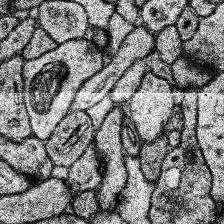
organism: Human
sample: Temporal Lobe